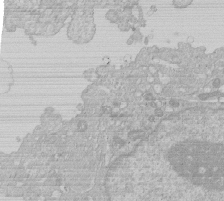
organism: Human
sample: Macrophage cells